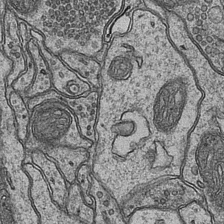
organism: Mouse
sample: CA1 Hippocampus